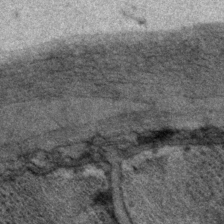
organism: P. pacificus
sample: Pharynx